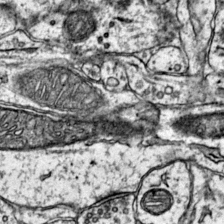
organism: Mouse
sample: Primary visual cortex